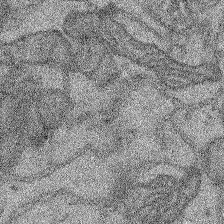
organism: Human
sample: HeLa cells